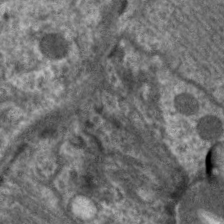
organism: C. elegans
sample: Pharynx